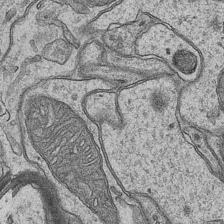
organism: Mouse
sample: CA1 Hippocampus